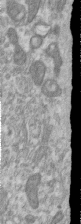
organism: Human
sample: Centriole in RPE cells